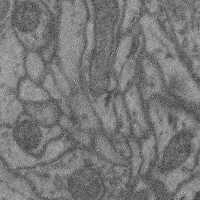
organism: Mouse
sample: Cerebral cortex